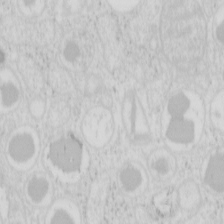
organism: Mouse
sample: Pancreas